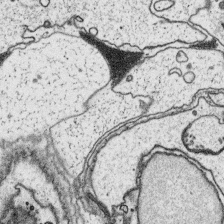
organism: Platynereis dumerilii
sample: Parapodia